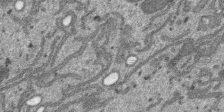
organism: Human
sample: Lung epithelial cells infected with SARS-CoV-2